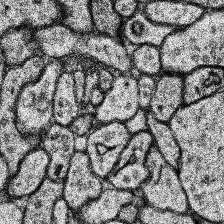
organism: Human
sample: Temporal Lobe